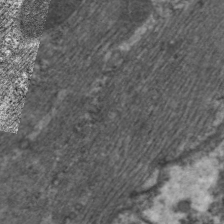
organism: C. elegans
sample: Pharynx